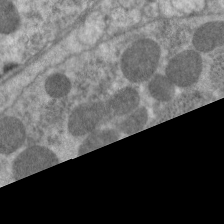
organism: C. elegans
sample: Pharynx